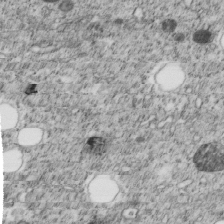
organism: C. elegans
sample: C. elegans embryo early stage